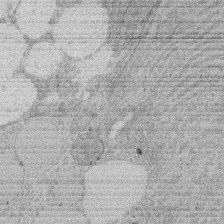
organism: Rat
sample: Salivary granule